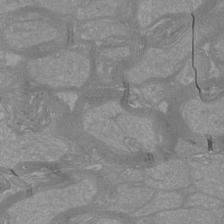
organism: Mouse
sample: Cortical neurons